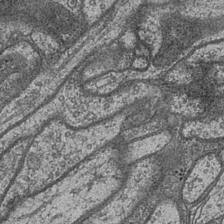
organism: Drosophila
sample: Optic medulla